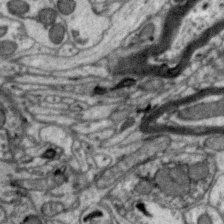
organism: Zebra finch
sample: Brain